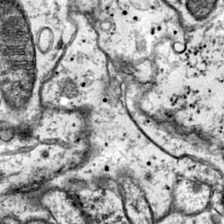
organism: Mouse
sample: Primary visual cortex